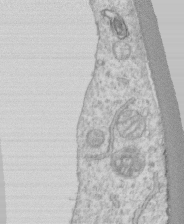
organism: Human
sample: CRL-1474